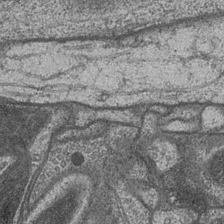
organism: Drosophila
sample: Optic medulla